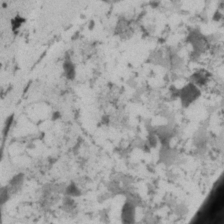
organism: P. pacificus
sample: Pharynx